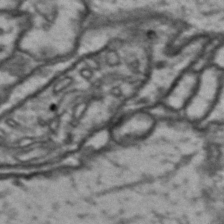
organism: Drosophila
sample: Brain